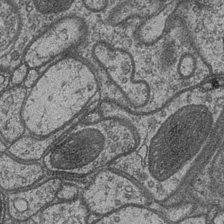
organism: Drosophila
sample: Optic medulla